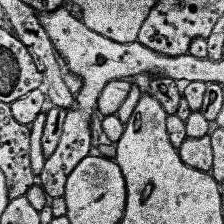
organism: Human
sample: Temporal Lobe